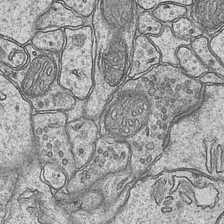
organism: Mouse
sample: CA1 Hippocampus